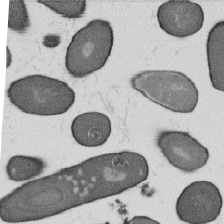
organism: B. subtilis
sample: Bacterial spore